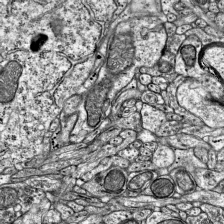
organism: Mouse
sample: Visual Cortex